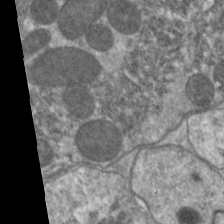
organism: C. elegans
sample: Pharynx